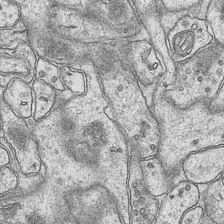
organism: Mouse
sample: CA1 Hippocampus